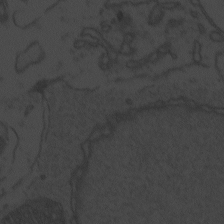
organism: Zebrafish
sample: Macrophage infected with Toxoplasma gondii